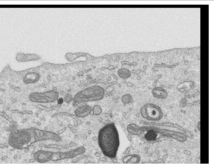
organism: Human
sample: Centriole in RPE cells